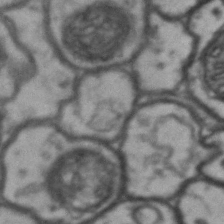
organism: Drosophila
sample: Brain